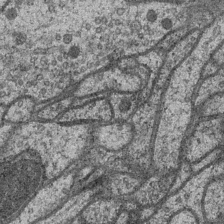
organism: Drosophila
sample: Optic medulla